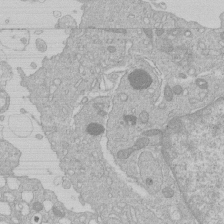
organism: Human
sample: Macrophage cells